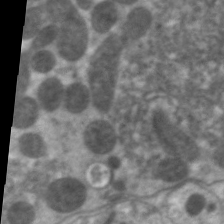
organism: C. elegans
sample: Pharynx